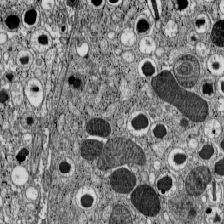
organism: C57BL Mouse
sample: Pancreatic islet